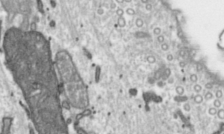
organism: Toxoplasma gondii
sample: Parasites in a vacuole inside a host cell